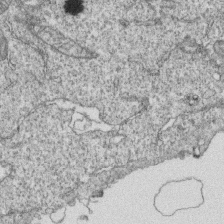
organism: Human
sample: HeLa cell HIV synapse